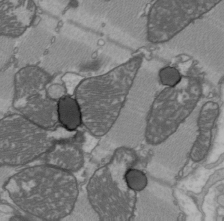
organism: C57BL Mouse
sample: Heart